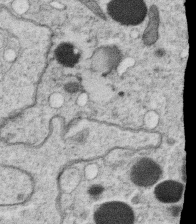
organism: C. elegans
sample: C. elegans oocyte; sperm cells